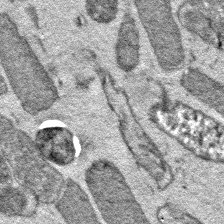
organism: E. coli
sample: E. Coli Bacteria